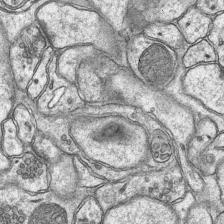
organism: Mouse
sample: CA1 Hippocampus